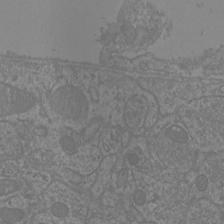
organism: Mouse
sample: Cortical neurons